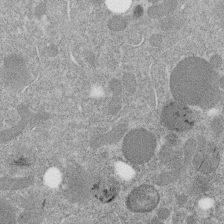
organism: C. elegans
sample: C. elegans embryo early stage